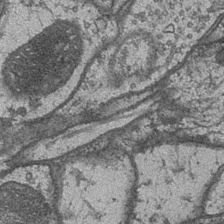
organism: Drosophila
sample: Optic medulla